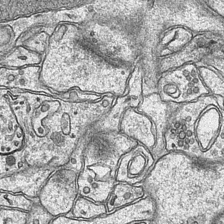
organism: Mouse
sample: CA1 Hippocampus